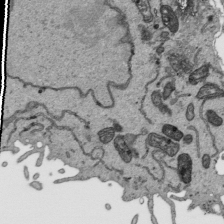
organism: Human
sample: Mitochondria in HCT116 cells